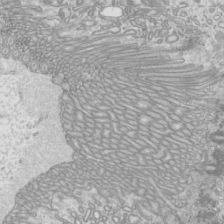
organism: Mouse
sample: Cilia; mouse epididymis